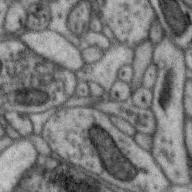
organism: Zebra finch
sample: Brain